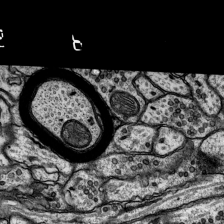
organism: Rat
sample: Hippocampus